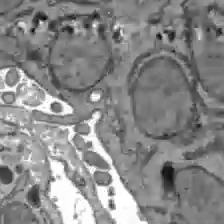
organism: C57BL Mouse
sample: Liver